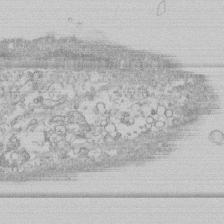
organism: Human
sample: CRL-1474